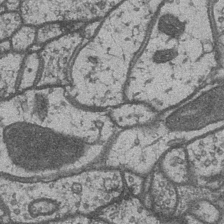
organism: Drosophila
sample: Optic medulla